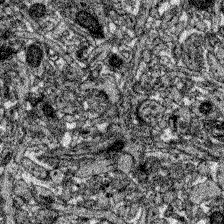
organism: Zebrafish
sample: Larval olfactory bulb